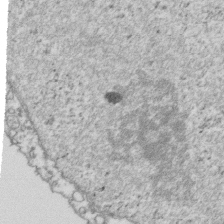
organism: Human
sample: Activated Jurkat CD4+ T cells